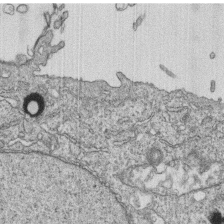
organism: Human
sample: HeLa cell HIV synapse